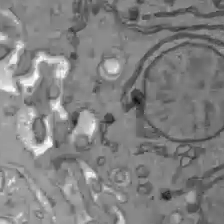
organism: C57BL Mouse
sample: Liver